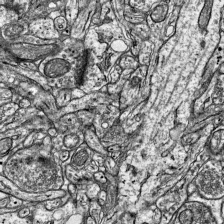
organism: Mouse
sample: Visual Cortex